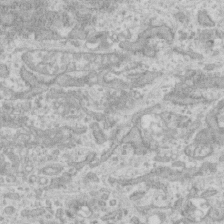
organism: Human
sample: CRL-1474